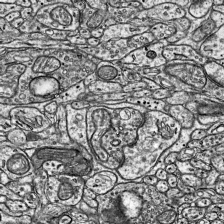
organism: Mouse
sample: Visual Cortex